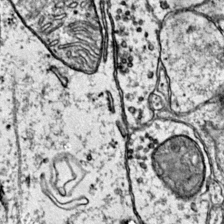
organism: Mouse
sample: Primary visual cortex